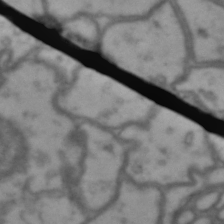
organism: Drosophila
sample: Brain